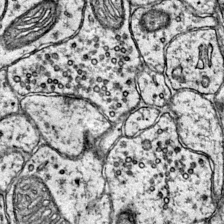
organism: Mouse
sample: Primary visual cortex